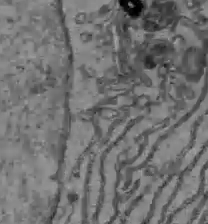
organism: C57BL Mouse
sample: Liver